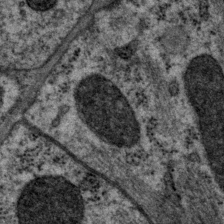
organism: P. pacificus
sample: Pharynx